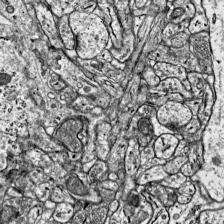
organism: Mouse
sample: Visual Cortex